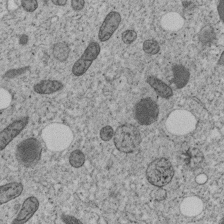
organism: C. elegans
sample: C. elegans embryo early stage